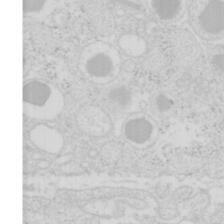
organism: Mouse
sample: Pancreas